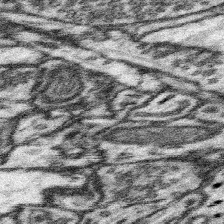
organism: Mouse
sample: Somatosensory cortex neuropil